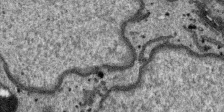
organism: Human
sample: Lung epithelial cells, uninfected (mock) control